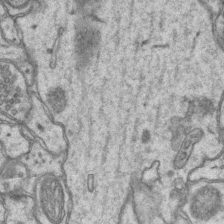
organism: Mouse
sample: CA1 Hippocampus